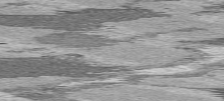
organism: C57BL Mouse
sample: Heart